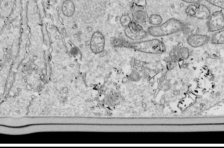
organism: Drosophila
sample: Cell division; meiosis; drosophila spermatocytes